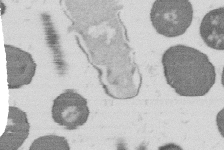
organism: B. subtilis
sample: Bacterial spore